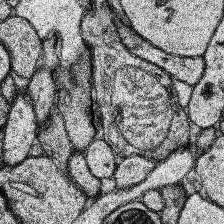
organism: Human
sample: Temporal Lobe